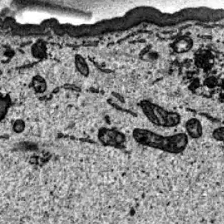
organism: Human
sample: HeLa cells